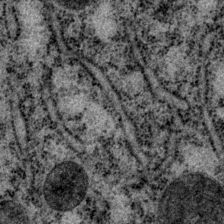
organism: P. pacificus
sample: Pharynx